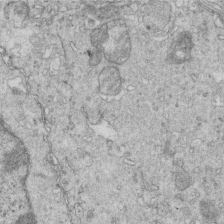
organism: Mouse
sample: Multiciliated cells